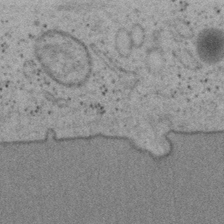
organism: Human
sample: HeLa cells